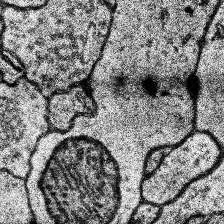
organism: Human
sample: Temporal Lobe